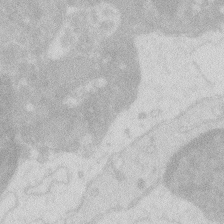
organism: Zebrafish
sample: Macrophage